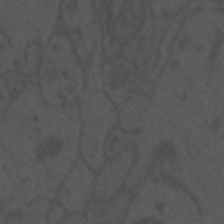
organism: Mouse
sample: Suprachiasmatic nucleus